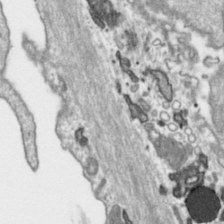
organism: Toxoplasma gondii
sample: Parasites in a vacuole inside a host cell